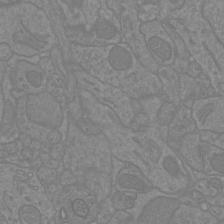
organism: Mouse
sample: Cortical neurons